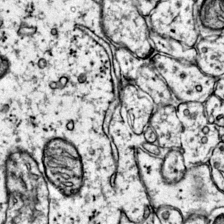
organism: Mouse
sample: Primary visual cortex